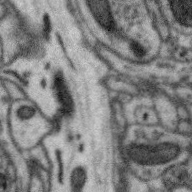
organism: Zebra finch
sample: Brain